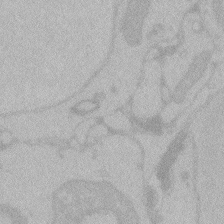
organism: Zebrafish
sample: Macrophage infected with Toxoplasma gondii